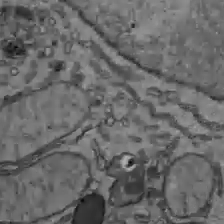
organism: C57BL Mouse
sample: Liver